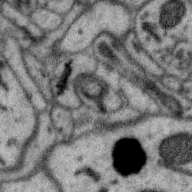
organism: Zebra finch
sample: Brain